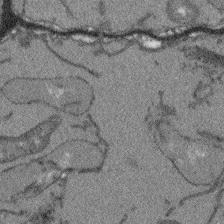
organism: Arabidopsis thaliana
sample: Root tip